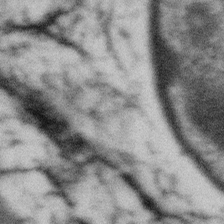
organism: Gemmata obscuriglobus